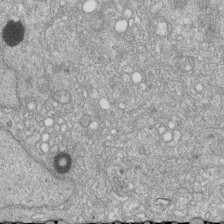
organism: Human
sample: HeLa cell HIV synapse